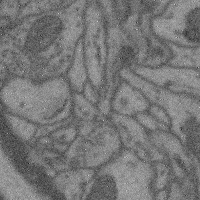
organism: Mouse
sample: Cerebral cortex